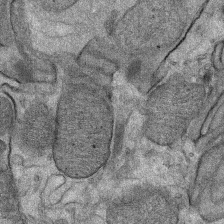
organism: Mouse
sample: Mouse Salivary gland